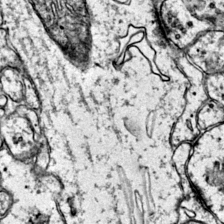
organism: Mouse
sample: Primary visual cortex